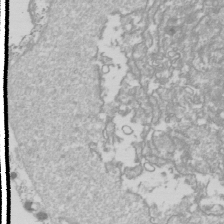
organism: Drosophila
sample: Cell division; meiosis; drosophila spermatocytes